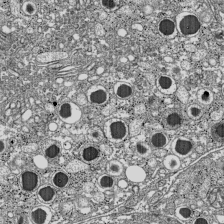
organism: C57BL Mouse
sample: Pancreatic islet